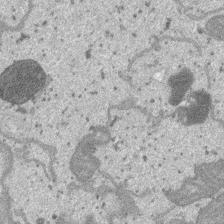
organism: Human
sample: Lung epithelial cells infected with SARS-CoV-2